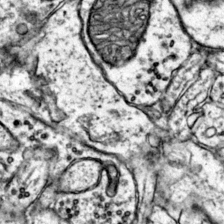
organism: Mouse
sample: Primary visual cortex